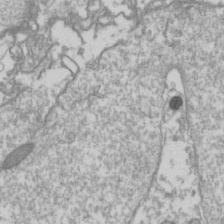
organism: Drosophila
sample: Cell division; meiosis; drosophila spermatocytes